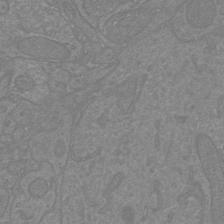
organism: Mouse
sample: Cortical neurons